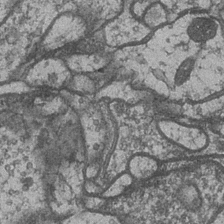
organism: Drosophila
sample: Optic medulla